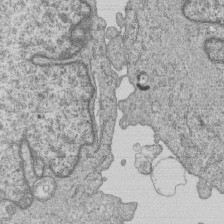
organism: Human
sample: MDA-MB-231 cells